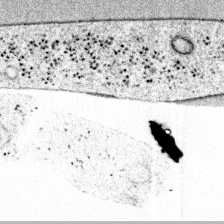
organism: Human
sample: HeLa cells